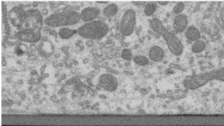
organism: Human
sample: Centriole in RPE cells